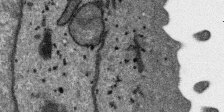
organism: Human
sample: Lung epithelial cells, uninfected (mock) control